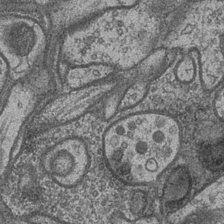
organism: Drosophila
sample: Optic medulla